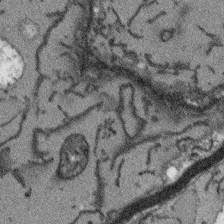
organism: Arabidopsis thaliana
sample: Root tip